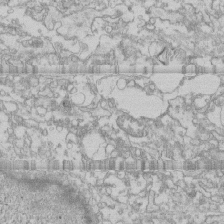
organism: Human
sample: CRL-1474